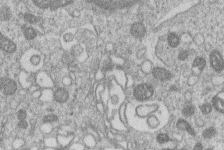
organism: Human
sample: Macrophage cells